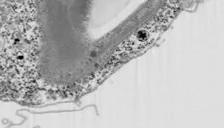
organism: Chlamydomonas reinhardtii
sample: Whole Cell